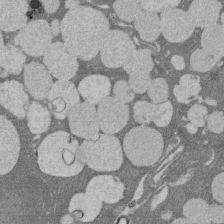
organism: Rat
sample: Salivary granule